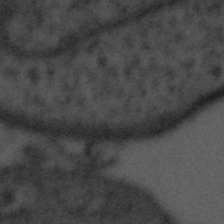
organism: Tuwongella immobilis